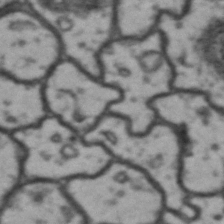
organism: Drosophila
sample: Brain